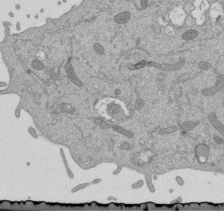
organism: Mouse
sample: ED-1 cell nuclei; centrioles